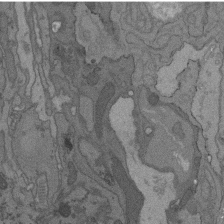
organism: C. elegans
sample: AFD neurons C. elegans